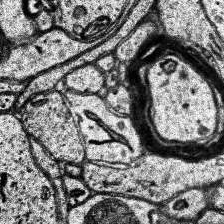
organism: Human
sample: Temporal Lobe